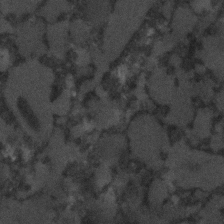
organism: C. elegans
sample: C. elegans embryo